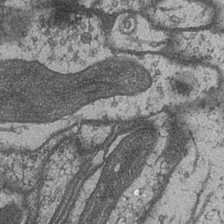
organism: Drosophila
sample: Optic medulla